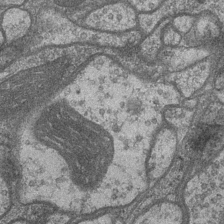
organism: Drosophila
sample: Optic medulla